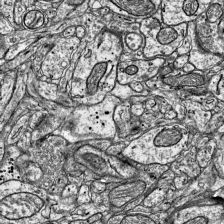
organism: Mouse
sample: Visual Cortex